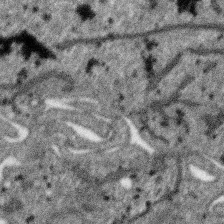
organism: Human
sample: Lung epithelial cells infected with SARS-CoV-2